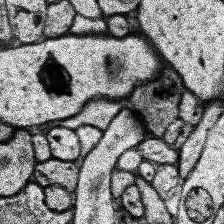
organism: Human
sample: Temporal Lobe